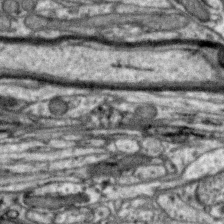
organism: Zebra finch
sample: Brain